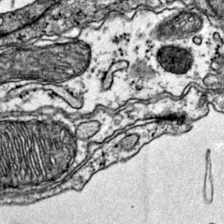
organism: Mouse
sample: Primary visual cortex